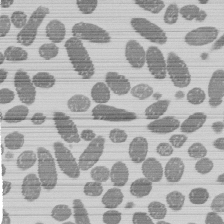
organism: E. coli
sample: Bacterial nucleoid